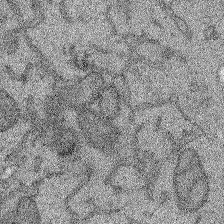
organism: Human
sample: HeLa cells